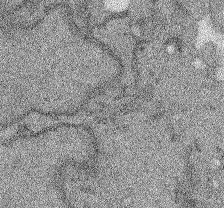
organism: Human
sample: HeLa cells